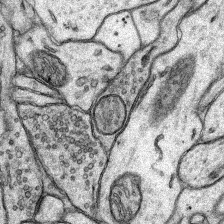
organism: Rat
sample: Hippocampus